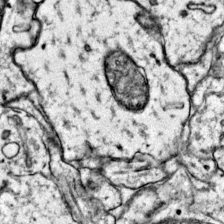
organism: Mouse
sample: Primary visual cortex